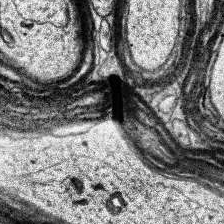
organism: Human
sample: Temporal Lobe